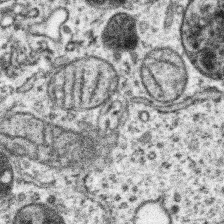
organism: Human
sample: HeLa cells